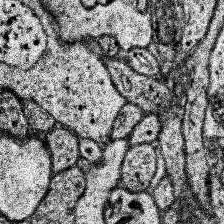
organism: Human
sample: Temporal Lobe